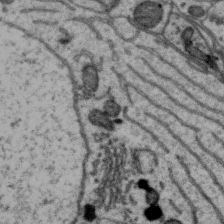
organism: Zebra finch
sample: Brain